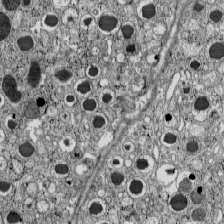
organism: C57BL Mouse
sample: Pancreatic islet